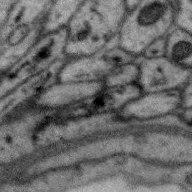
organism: Zebra finch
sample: Brain